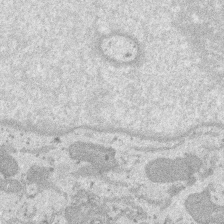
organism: Human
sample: Lung epithelial cells infected with SARS-CoV-2